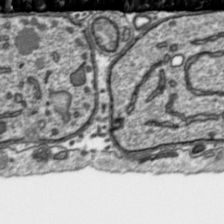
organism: Toxoplasma gondii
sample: Parasites in a vacuole inside a host cell